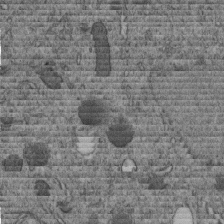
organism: C. elegans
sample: C. elegans embryo early stage